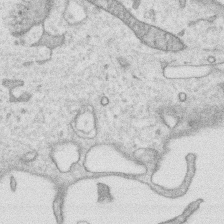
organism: Human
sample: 1205lu cells